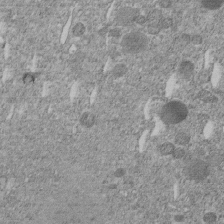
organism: C. elegans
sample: C. elegans embryo early stage